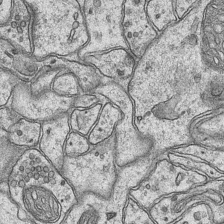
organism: Mouse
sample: CA1 Hippocampus